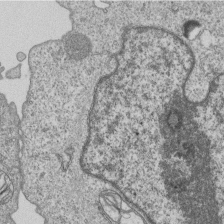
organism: Human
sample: MDA-MB-231 cells